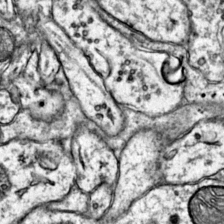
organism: Mouse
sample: Primary visual cortex